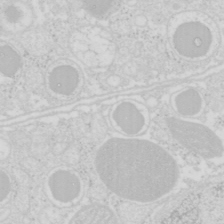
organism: Mouse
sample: Pancreas